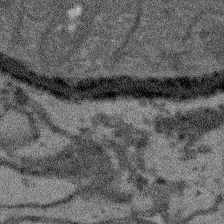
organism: Arabidopsis thaliana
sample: Root tip